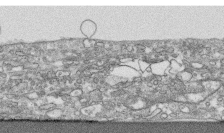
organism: Human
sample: CRL-1474